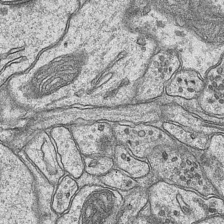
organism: Mouse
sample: CA1 Hippocampus